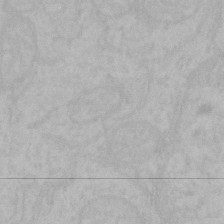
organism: Mouse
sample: Choroid plexus